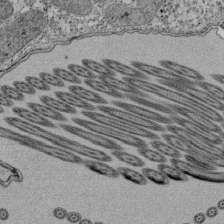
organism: Tetrahymena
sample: Cilia in tetrahymena